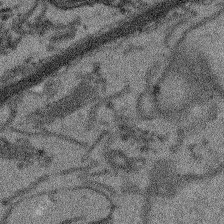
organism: Arabidopsis thaliana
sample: Root tip